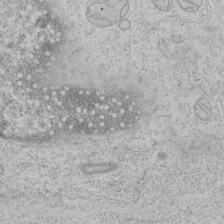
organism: Human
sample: Mitochondria in HCT116 cells